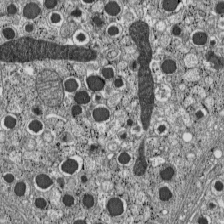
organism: C57BL Mouse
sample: Pancreatic islet